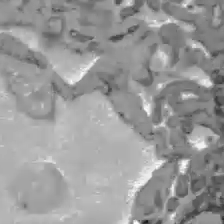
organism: C57BL Mouse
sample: Liver